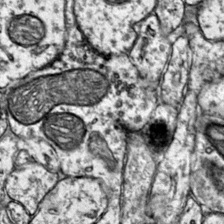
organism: Mouse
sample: Primary visual cortex